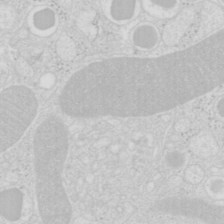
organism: Mouse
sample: Pancreas